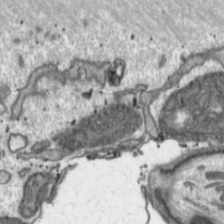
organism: Toxoplasma gondii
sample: Parasites in a vacuole inside a host cell